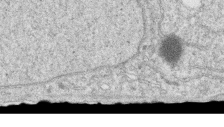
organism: Human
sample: HeLa cell HIV synapse